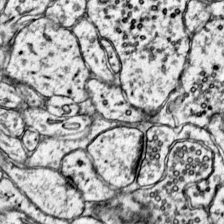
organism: Mouse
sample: Primary visual cortex